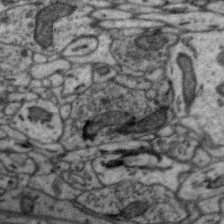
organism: Zebra finch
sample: Brain